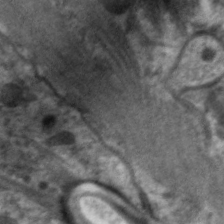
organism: C. elegans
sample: Pharynx